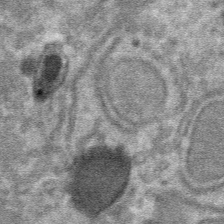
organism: Mouse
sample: Mouse hepatocytes